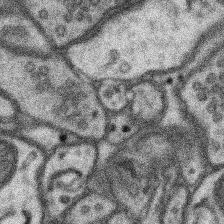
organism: Mouse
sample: Somatosensory cortex neuropil